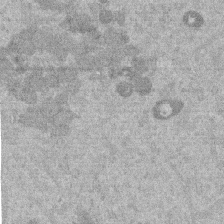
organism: Mouse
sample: Dividing mouse embryo 1 cell stage